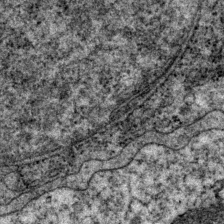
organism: P. pacificus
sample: Pharynx